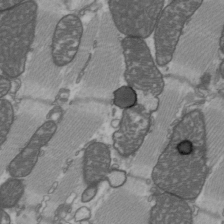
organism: C57BL Mouse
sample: Heart